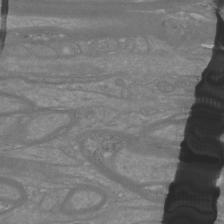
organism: Mouse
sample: Cortical neurons